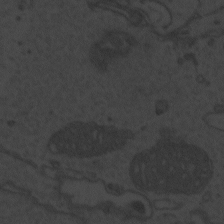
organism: Zebrafish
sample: Macrophage infected with Toxoplasma gondii